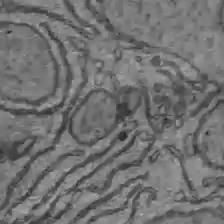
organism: C57BL Mouse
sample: Liver